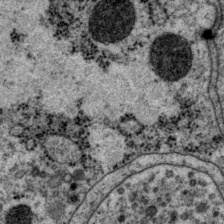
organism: P. pacificus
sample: Pharynx